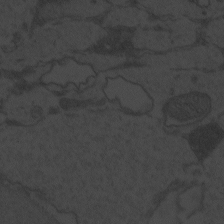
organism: Zebrafish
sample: Macrophage infected with Toxoplasma gondii